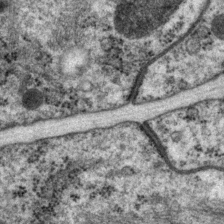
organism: P. pacificus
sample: Pharynx